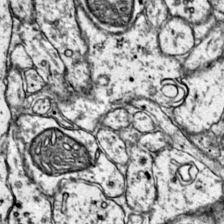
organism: Mouse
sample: Primary visual cortex